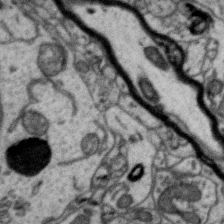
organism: Zebra finch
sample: Brain